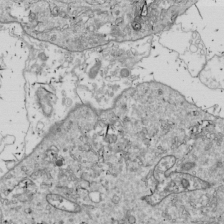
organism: Drosophila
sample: Cell division; meiosis; drosophila spermatocytes